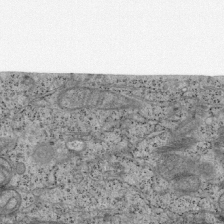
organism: Human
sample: HeLa cells